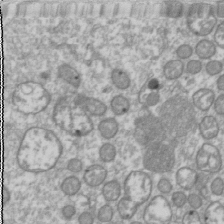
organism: Drosophila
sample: Cell division; meiosis; drosophila spermatocytes